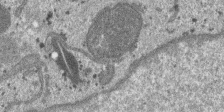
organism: Human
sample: Lung epithelial cells infected with SARS-CoV-2